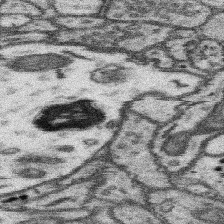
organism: Mouse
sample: Somatosensory cortex neuropil